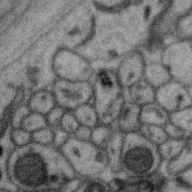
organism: Zebra finch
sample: Brain